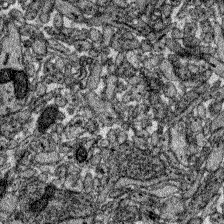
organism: Zebrafish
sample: Larval olfactory bulb